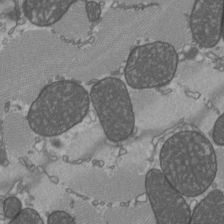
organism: C57BL Mouse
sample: Heart